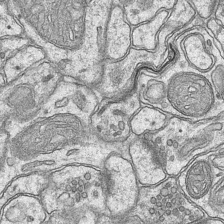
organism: Mouse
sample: CA1 Hippocampus